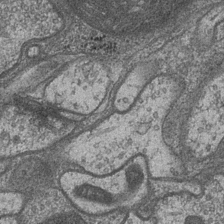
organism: Drosophila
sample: Optic medulla